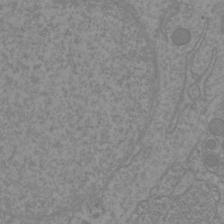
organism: Mouse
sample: Cortical neurons